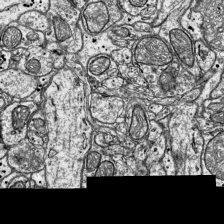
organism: Mouse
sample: Visual Cortex